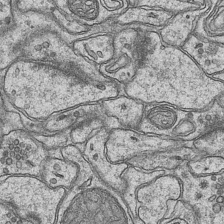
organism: Mouse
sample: CA1 Hippocampus